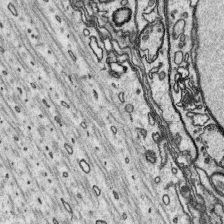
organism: Platynereis dumerilii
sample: Parapodia